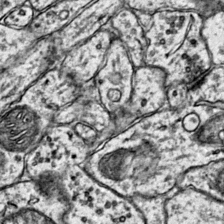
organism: Mouse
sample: Primary visual cortex